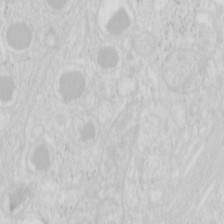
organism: Mouse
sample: Pancreas